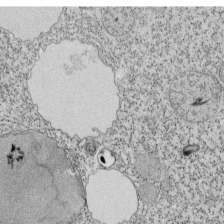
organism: Tetrahymena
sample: Cilia in tetrahymena